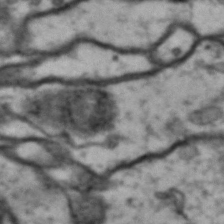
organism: Drosophila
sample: Brain